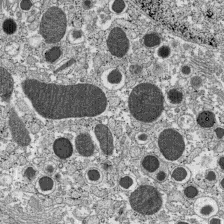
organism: C57BL Mouse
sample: Pancreatic islet